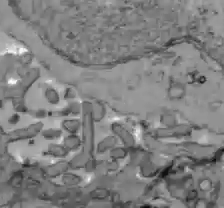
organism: C57BL Mouse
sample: Liver